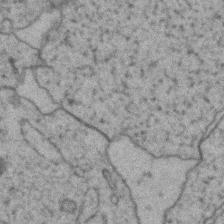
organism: Zebrafish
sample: Zebrafish embryo